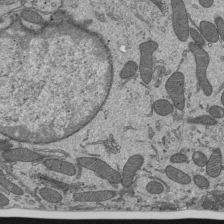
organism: Mouse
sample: Mouse epididymis efferent ductule cilia